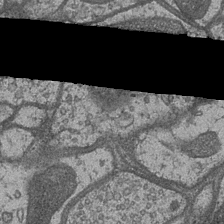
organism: Drosophila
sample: Optic medulla